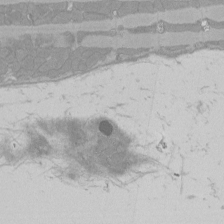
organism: Rat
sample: Left ventricle